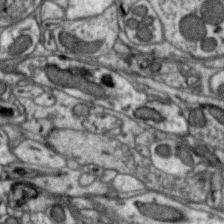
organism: Zebra finch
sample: Brain